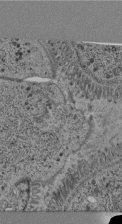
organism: C. elegans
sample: C. elegans pharynx